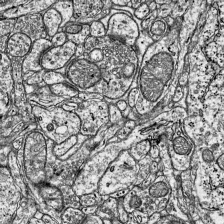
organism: Mouse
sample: Visual Cortex